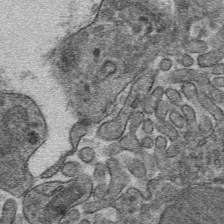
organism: Mouse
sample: Mouse hepatocytes